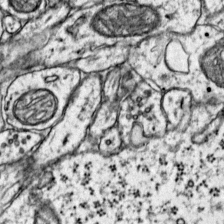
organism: Mouse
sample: Primary visual cortex